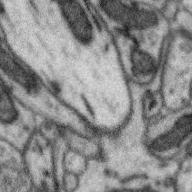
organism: Zebra finch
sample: Brain